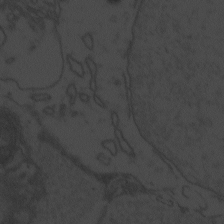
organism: Zebrafish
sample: Macrophage infected with Toxoplasma gondii